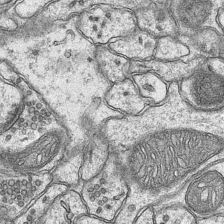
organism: Mouse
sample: CA1 Hippocampus